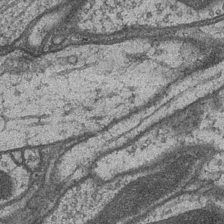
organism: Drosophila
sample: Optic medulla